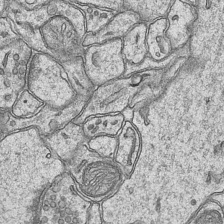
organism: Mouse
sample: CA1 Hippocampus